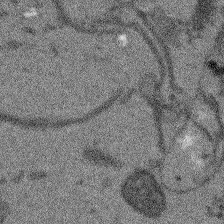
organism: Arabidopsis thaliana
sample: Root tip